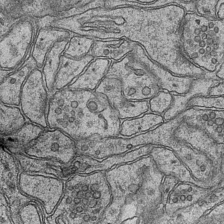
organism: Mouse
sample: CA1 Hippocampus